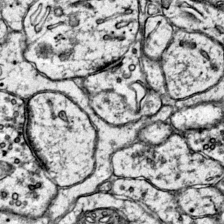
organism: Mouse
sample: Primary visual cortex